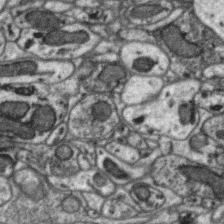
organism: Zebra finch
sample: Brain